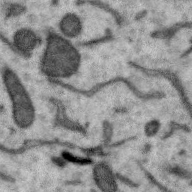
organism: Zebra finch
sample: Brain